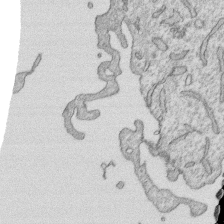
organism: Human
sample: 1205lu cells